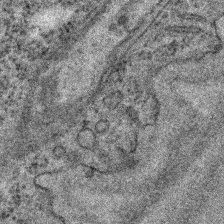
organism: C. elegans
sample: C. elegans embryo